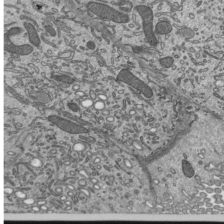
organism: Mouse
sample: Mouse epididymis efferent ductule cilia